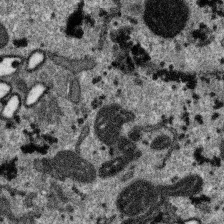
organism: Human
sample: Lung epithelial cells infected with SARS-CoV-2